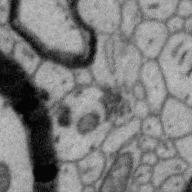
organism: Zebra finch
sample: Brain